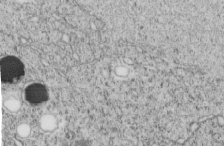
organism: C. elegans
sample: C. elegans embryo early stage